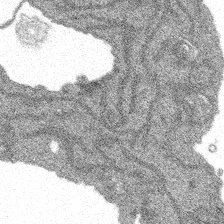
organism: Spongilla lacustris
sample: Multiple